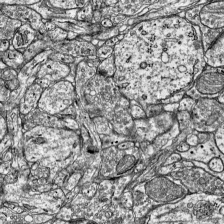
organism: Mouse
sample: Visual Cortex